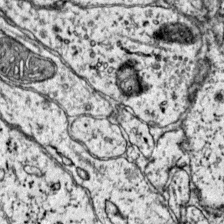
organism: Mouse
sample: Primary visual cortex